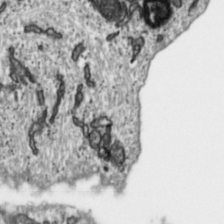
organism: Toxoplasma gondii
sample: Parasites in a vacuole inside a host cell